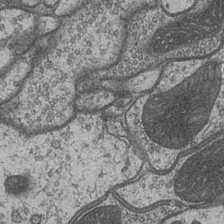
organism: Drosophila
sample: Optic medulla